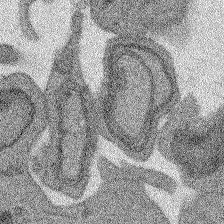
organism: Human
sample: HeLa cells